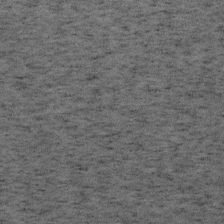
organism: Mouse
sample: OT-I killer T cells with ID8 ovarian cancer cells